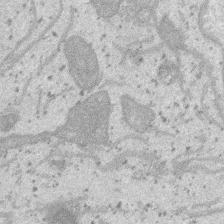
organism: Human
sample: Lung epithelial cells infected with SARS-CoV-2